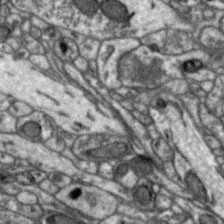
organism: Zebra finch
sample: Brain